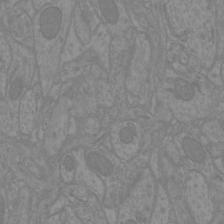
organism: Mouse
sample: Cortical neurons